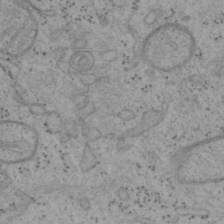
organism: Human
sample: HeLa cells